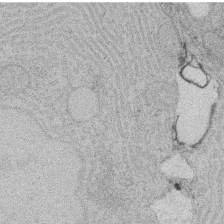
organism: Rat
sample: Salivary granule